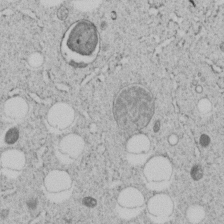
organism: C. elegans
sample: C. elegans embryo early stage